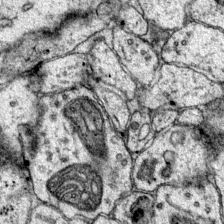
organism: Mouse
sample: Primary visual cortex